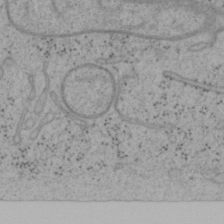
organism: Human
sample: HeLa cells